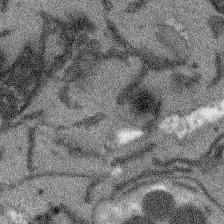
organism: Arabidopsis thaliana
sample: Root tip